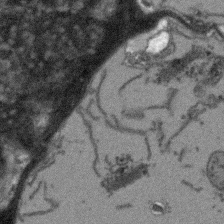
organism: Arabidopsis thaliana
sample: Root tip